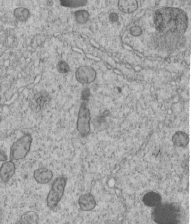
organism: C. elegans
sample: C. elegans embryo early stage